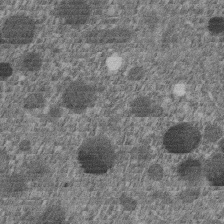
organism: C. elegans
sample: C. elegans embryo early stage